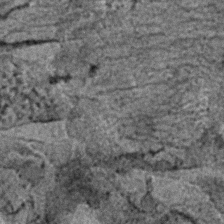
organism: C. elegans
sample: C. elegans embryo